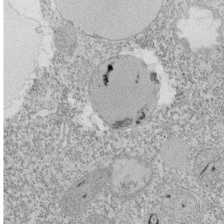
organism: Tetrahymena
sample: Cilia in tetrahymena